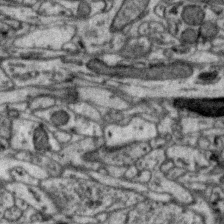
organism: Zebra finch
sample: Brain